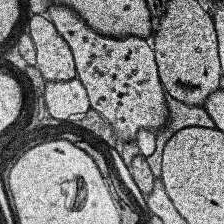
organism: Human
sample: Temporal Lobe